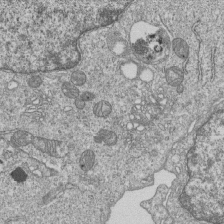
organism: Human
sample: MDA-MB-231 cells